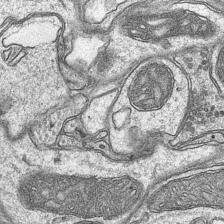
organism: Mouse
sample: CA1 Hippocampus